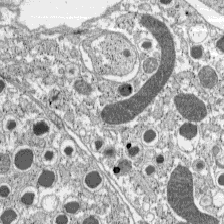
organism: C57BL Mouse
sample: Pancreatic islet